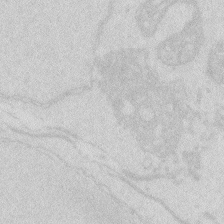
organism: Zebrafish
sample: Macrophage